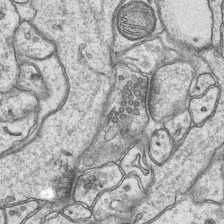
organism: Mouse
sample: CA1 Hippocampus